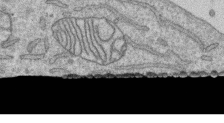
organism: Human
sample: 1205lu cells